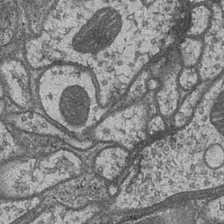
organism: Drosophila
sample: Optic medulla